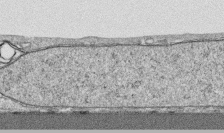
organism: Human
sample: CRL-1474